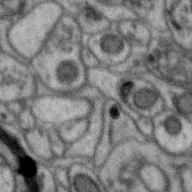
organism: Zebra finch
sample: Brain